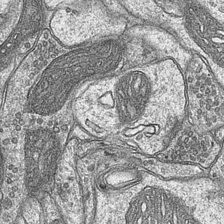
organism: Mouse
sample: CA1 Hippocampus